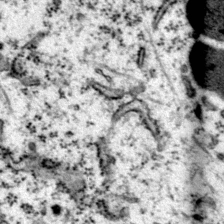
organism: Mouse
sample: Primary visual cortex